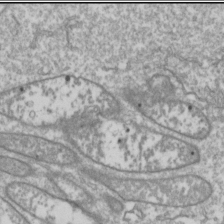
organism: Drosophila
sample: Cell division; meiosis; drosophila spermatocytes